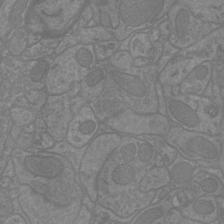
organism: Mouse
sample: Cortical neurons